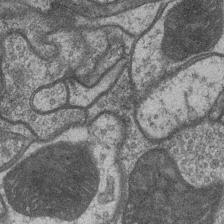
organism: Drosophila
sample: Optic medulla